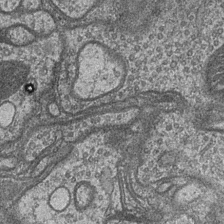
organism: Drosophila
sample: Optic medulla